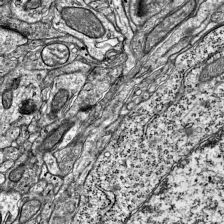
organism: Mouse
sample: Visual Cortex